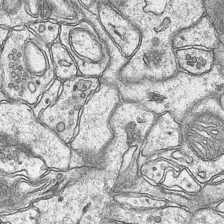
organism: Mouse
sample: CA1 Hippocampus